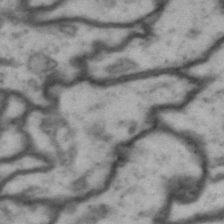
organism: Drosophila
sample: Brain